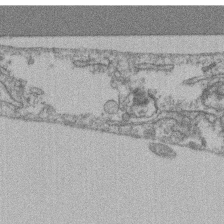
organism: Mouse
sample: T cell stromal cell synapse